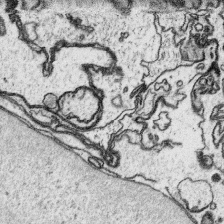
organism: Platynereis dumerilii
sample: Parapodia